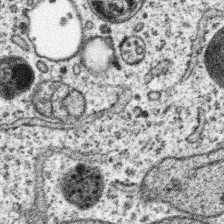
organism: Human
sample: HeLa cells